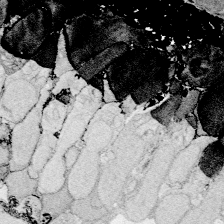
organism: Zebrafish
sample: Whole-Brain